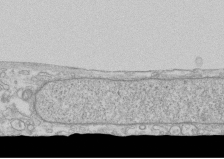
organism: Human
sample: CRL-1474